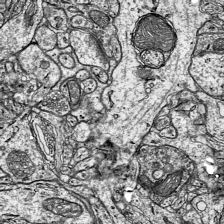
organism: Mouse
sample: Visual Cortex